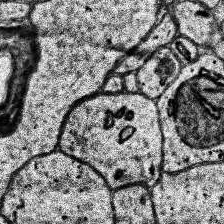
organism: Human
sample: Temporal Lobe